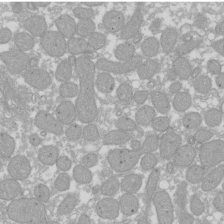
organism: Xenopus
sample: Cilia; centrioles in frog embryo cells